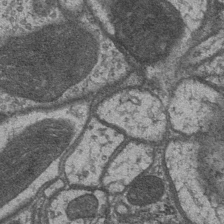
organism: Drosophila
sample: Optic medulla